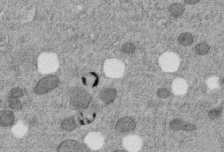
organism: C. elegans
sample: C. elegans embryo early stage